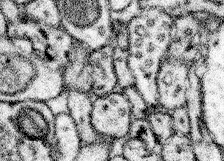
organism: Mouse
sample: Somatosensory cortex neuropil